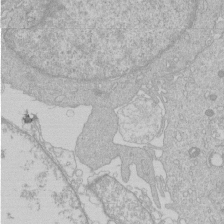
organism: Human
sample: Macrophage cells